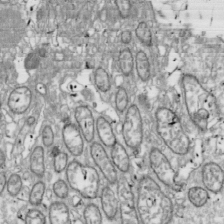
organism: Drosophila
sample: Cell division; meiosis; drosophila spermatocytes